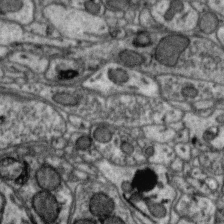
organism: Zebra finch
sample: Brain